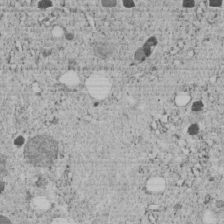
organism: C. elegans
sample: C. elegans embryo early stage